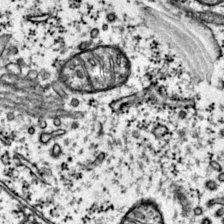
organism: Mouse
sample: Primary visual cortex